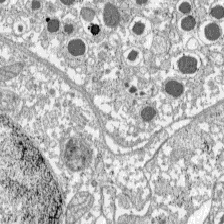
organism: C57BL Mouse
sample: Pancreatic islet